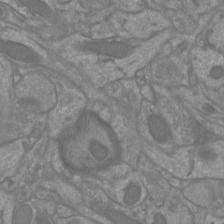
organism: Mouse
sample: Cortical neurons